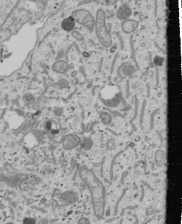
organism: Human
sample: Mitochondria in U2OS cells